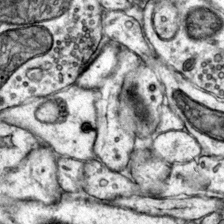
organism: Mouse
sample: Primary visual cortex